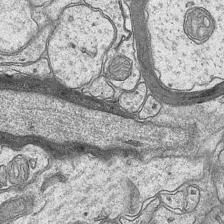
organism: Mouse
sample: CA1 Hippocampus